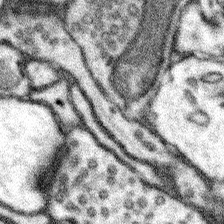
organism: Mouse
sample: Somatosensory cortex neuropil